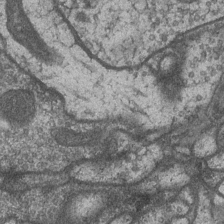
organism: Drosophila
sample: Optic medulla